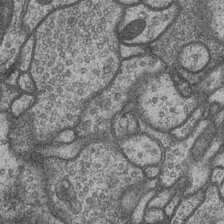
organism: Drosophila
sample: Optic medulla